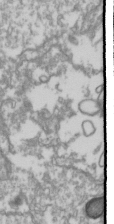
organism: Drosophila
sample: Cell division; meiosis; drosophila spermatocytes